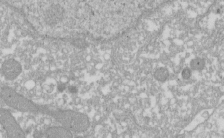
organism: Xenopus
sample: Cilia; centrioles in frog embryo cells